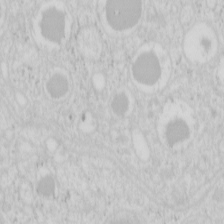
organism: Mouse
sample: Pancreas